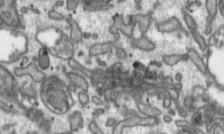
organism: Toxoplasma gondii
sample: Parasites in a vacuole inside a host cell